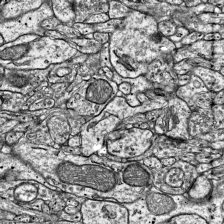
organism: Mouse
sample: Visual Cortex